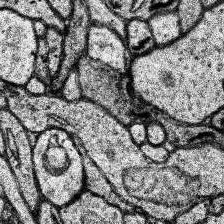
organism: Human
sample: Temporal Lobe